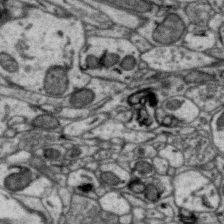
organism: Zebra finch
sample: Brain